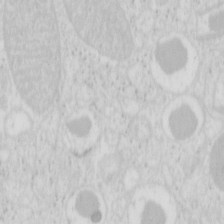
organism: Mouse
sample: Pancreas